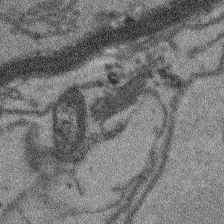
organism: Arabidopsis thaliana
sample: Root tip